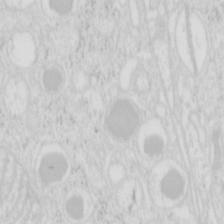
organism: Mouse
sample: Pancreas